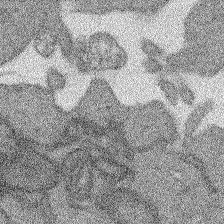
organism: Human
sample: HeLa cells